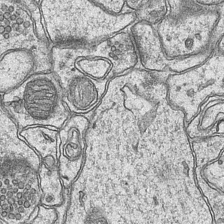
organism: Mouse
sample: CA1 Hippocampus